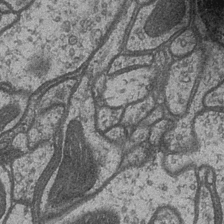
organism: Drosophila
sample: Optic medulla